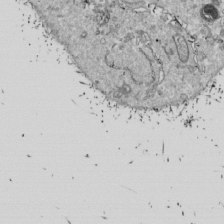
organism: Drosophila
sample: Cell division; meiosis; drosophila spermatocytes